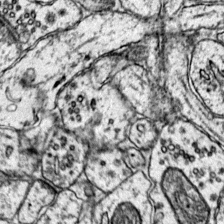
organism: Mouse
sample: Primary visual cortex